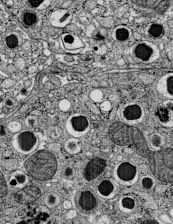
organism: C57BL Mouse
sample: Pancreatic islet